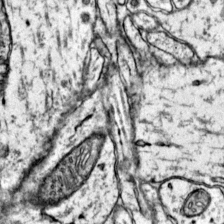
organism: Mouse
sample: Primary visual cortex